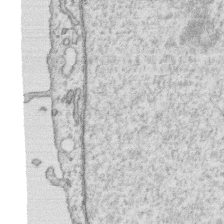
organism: Human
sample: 1205lu cells